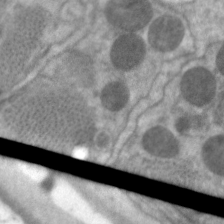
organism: C. elegans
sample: Pharynx